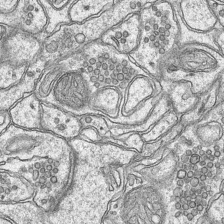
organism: Mouse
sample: CA1 Hippocampus